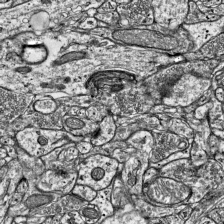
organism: Mouse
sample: Visual Cortex